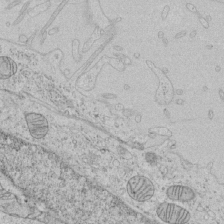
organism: Human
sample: Mitochondria in HCT116 cells